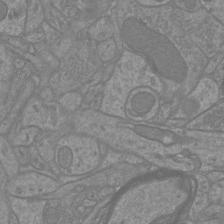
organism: Mouse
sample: Cortical neurons